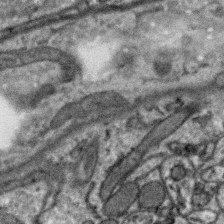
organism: Zebra finch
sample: Brain